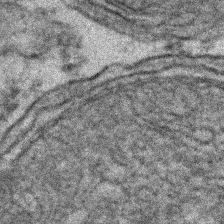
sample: Kidney